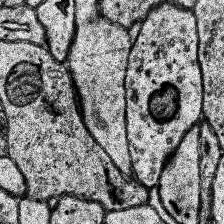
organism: Human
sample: Temporal Lobe